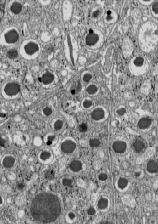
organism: C57BL Mouse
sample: Pancreatic islet